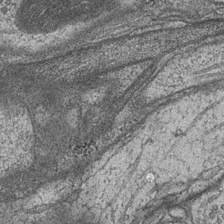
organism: Drosophila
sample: Optic medulla